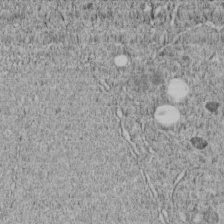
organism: C. elegans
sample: C. elegans embryo early stage